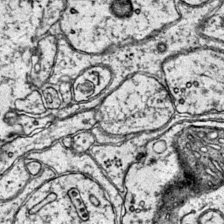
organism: Mouse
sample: Primary visual cortex